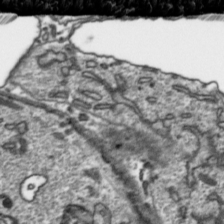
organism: Toxoplasma gondii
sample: Parasites in a vacuole inside a host cell